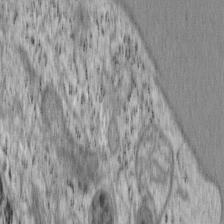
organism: Human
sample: HeLa cells